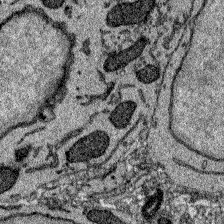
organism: Zebrafish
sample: Larval olfactory bulb